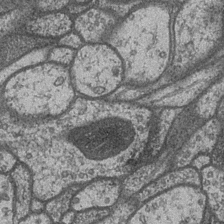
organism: Drosophila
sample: Optic medulla